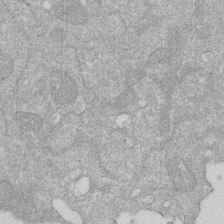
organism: Human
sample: HIV infected U937 cells